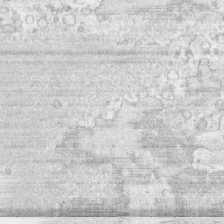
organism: Human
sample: CRL-1474